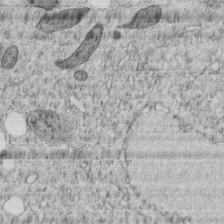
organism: C. elegans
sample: C. elegans embryo early stage